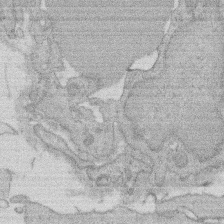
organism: Rat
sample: Salivary granule